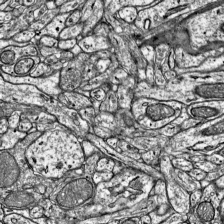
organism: Mouse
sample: Visual Cortex